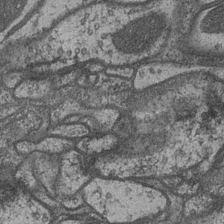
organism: Drosophila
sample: Optic medulla